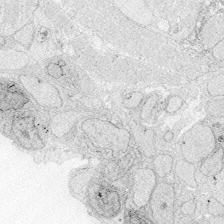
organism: Zebrafish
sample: Whole-Brain